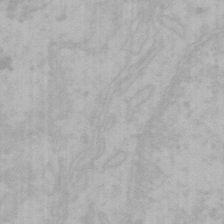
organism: Mouse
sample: Choroid plexus